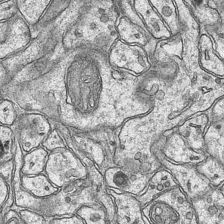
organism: Mouse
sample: CA1 Hippocampus